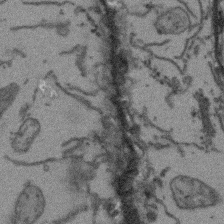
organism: Arabidopsis thaliana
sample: Root tip